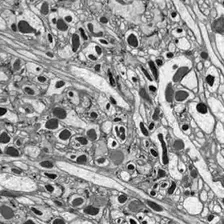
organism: Drosophila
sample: Optic lobe